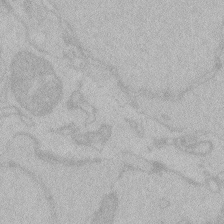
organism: Zebrafish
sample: Macrophage infected with Toxoplasma gondii